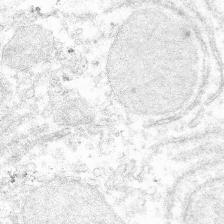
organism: Mouse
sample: Mouse hepatocytes